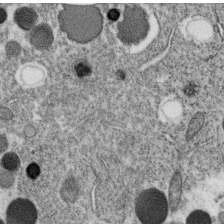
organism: C. elegans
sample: C. elegans oocyte; sperm cells